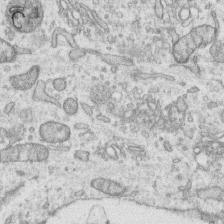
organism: Human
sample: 1205lu cells